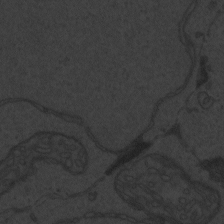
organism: Zebrafish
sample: Macrophage infected with Toxoplasma gondii